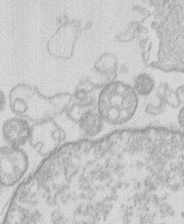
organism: Human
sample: Macrophage cells